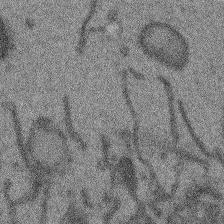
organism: Arabidopsis thaliana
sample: Root tip